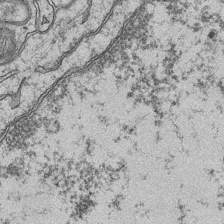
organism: Mouse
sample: CA1 Hippocampus